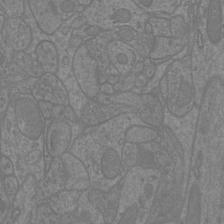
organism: Mouse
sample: Cortical neurons